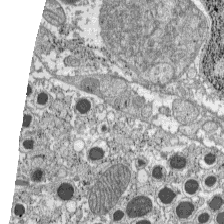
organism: C57BL Mouse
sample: Pancreatic islet